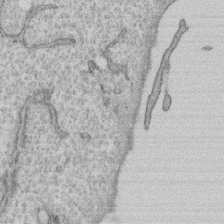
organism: Human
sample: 1205lu cells